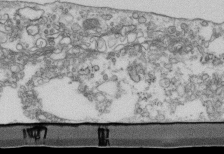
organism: Mouse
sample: Cilia; retinal pigment epithelium